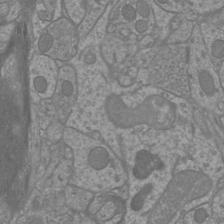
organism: Mouse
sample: Cortical neurons